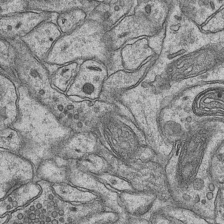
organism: Mouse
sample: CA1 Hippocampus